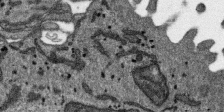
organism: Human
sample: Lung epithelial cells, uninfected (mock) control